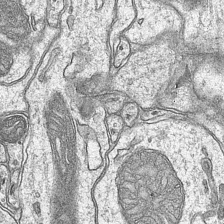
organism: Mouse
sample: CA1 Hippocampus